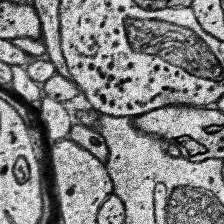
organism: Human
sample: Temporal Lobe